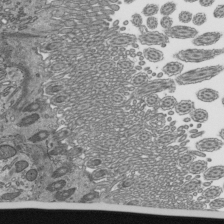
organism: Mouse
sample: Mouse epididymis efferent ductule cilia